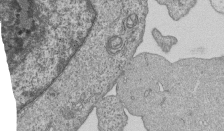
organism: Human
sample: MDA-MB-231 cells